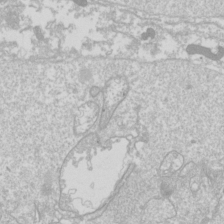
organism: Drosophila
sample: Cell division; meiosis; drosophila spermatocytes